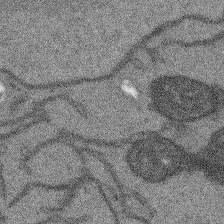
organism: Arabidopsis thaliana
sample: Root tip